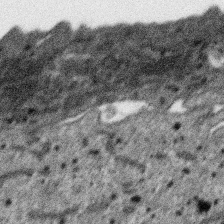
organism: Human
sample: Lung epithelial cells infected with SARS-CoV-2